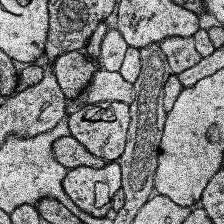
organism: Human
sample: Temporal Lobe